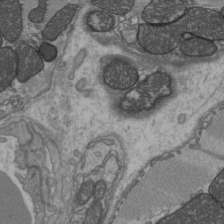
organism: C57BL Mouse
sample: Heart